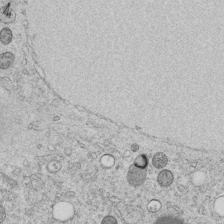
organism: C. elegans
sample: C. elegans embryo early stage